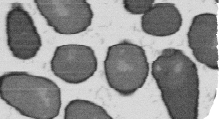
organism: B. subtilis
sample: Bacterial spore